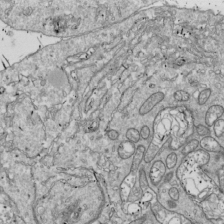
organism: Drosophila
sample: Cell division; meiosis; drosophila spermatocytes